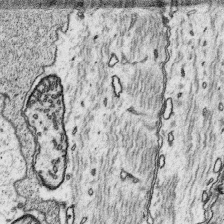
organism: Platynereis dumerilii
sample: Parapodia